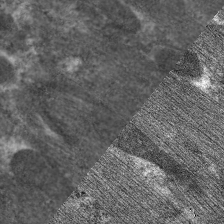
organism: C. elegans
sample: Pharynx